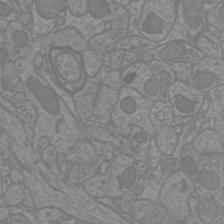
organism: Mouse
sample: Cortical neurons